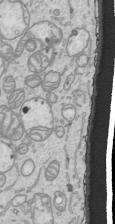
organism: Human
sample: Mitochondria in HCT116 cells